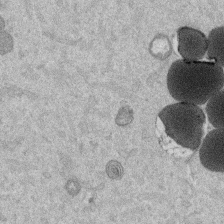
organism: Mouse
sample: Dividing mouse embryo 1 cell stage